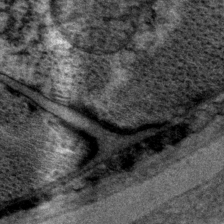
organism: P. pacificus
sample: Pharynx